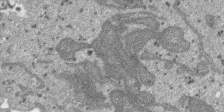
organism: Human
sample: Lung epithelial cells infected with SARS-CoV-2